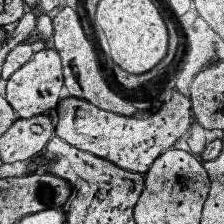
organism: Human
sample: Temporal Lobe